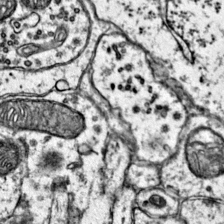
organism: Mouse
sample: Primary visual cortex